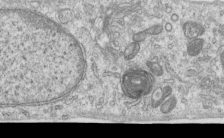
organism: Human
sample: Centriole in RPE cells